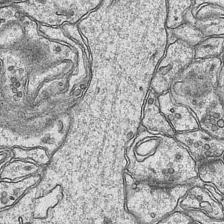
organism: Mouse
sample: CA1 Hippocampus